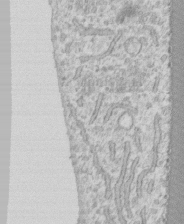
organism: Human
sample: CRL-1474